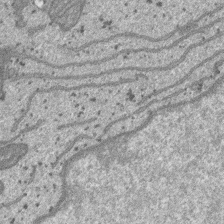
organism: Human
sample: Lung epithelial cells infected with SARS-CoV-2